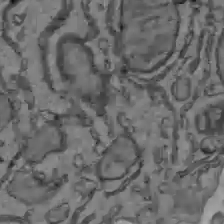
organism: C57BL Mouse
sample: Liver